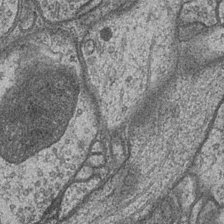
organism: Drosophila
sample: Optic medulla